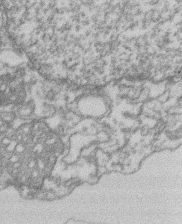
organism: Mouse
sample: T cell stromal cell synapse